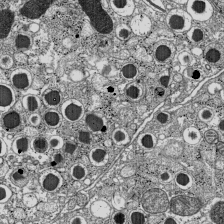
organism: C57BL Mouse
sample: Pancreatic islet